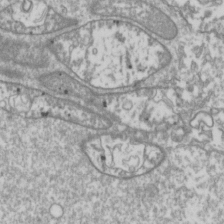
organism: Drosophila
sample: Cell division; meiosis; drosophila spermatocytes